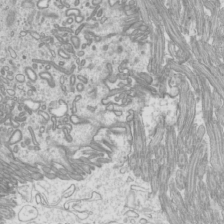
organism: Mouse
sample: Cilia; mouse epididymis